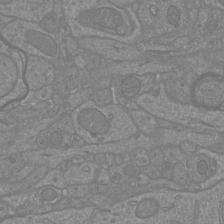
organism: Mouse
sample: Cortical neurons